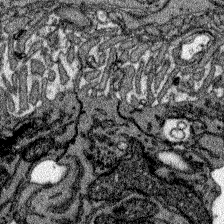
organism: Zebrafish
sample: Larval olfactory bulb